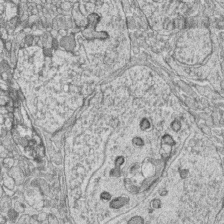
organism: Zebrafish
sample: synaptic ribbons in rod cells and cone cells